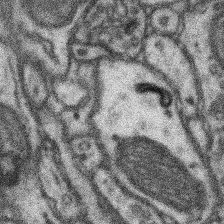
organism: Mouse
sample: Somatosensory cortex neuropil